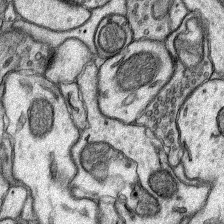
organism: Rat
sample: Hippocampus